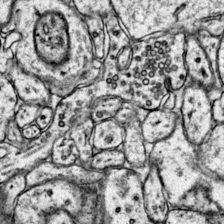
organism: Mouse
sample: Primary visual cortex